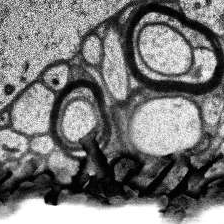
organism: Human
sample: Temporal Lobe